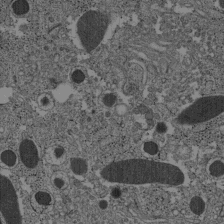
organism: C57BL Mouse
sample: Pancreatic islet